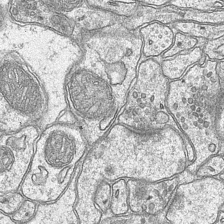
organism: Mouse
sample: CA1 Hippocampus